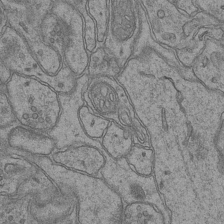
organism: Mouse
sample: CA1 Hippocampus